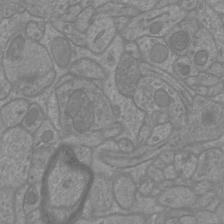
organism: Mouse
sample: Cortical neurons